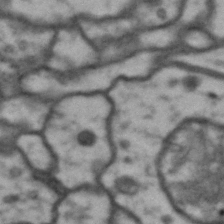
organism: Drosophila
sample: Brain